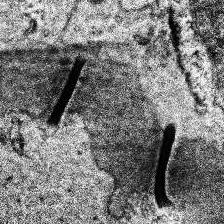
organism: Human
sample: Temporal Lobe